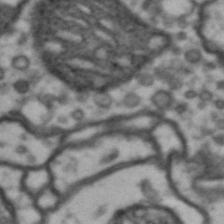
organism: Drosophila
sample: Brain